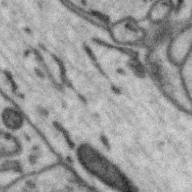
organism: Zebra finch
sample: Brain